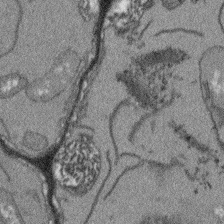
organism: Arabidopsis thaliana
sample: Root tip